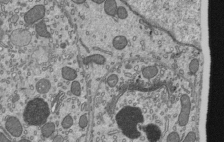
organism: Mouse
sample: Mouse epididymis efferent ductule cilia